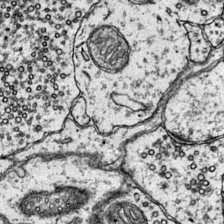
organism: Mouse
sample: Primary visual cortex